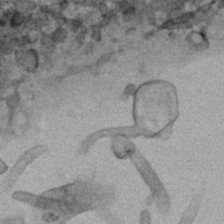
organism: Human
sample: Mitochondria in HCT116 cells